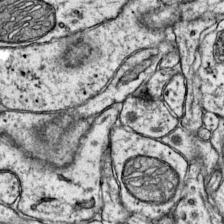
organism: Mouse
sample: Primary visual cortex